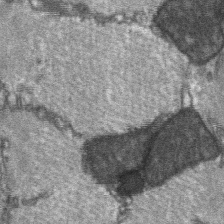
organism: C57BL Mouse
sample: Soleus